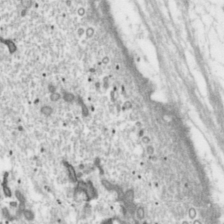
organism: Toxoplasma gondii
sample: Parasites in a vacuole inside a host cell